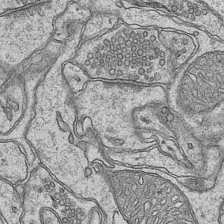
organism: Mouse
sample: CA1 Hippocampus